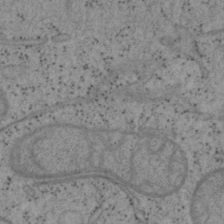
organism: Human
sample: HeLa cells